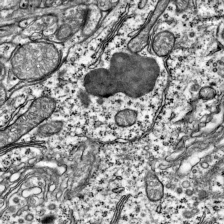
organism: Mouse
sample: Visual Cortex